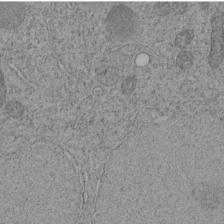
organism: C. elegans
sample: C. elegans embryo early stage